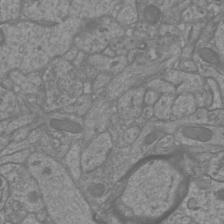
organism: Mouse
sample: Cortical neurons